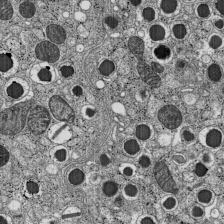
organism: C57BL Mouse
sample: Pancreatic islet